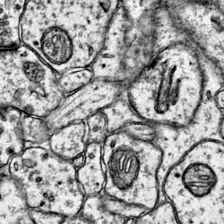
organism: Mouse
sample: Primary visual cortex